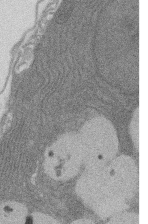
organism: Rat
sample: Salivary granule